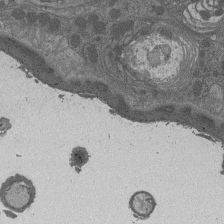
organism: Drosophila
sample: Antenna